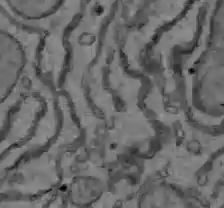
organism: C57BL Mouse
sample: Liver